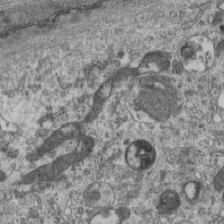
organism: Mouse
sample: Centriole in ependymal cells